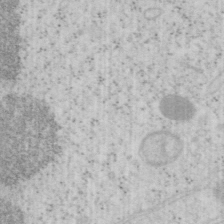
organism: Human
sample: HeLa cells